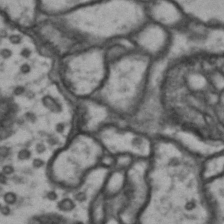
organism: Drosophila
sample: Brain